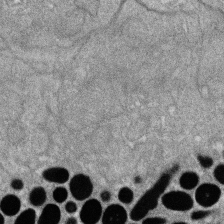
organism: Zebrafish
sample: Cilia; retinal pigment epithelium